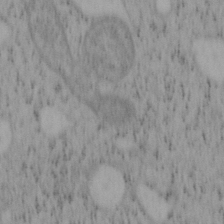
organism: Mouse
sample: OT-I killer T cells with ID8 ovarian cancer cells